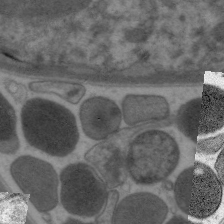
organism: C. elegans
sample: Pharynx